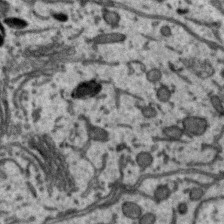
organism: Zebra finch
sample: Brain